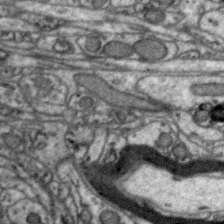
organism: Zebra finch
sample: Brain